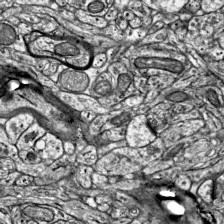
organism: Mouse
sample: Visual Cortex